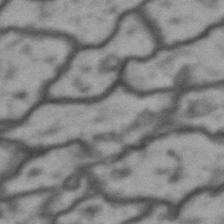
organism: Drosophila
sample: Brain